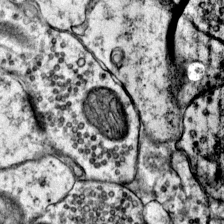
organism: Mouse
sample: Primary visual cortex